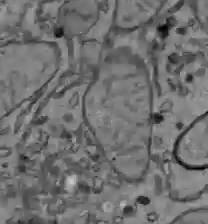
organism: C57BL Mouse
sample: Liver